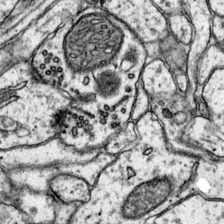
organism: Mouse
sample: Primary visual cortex